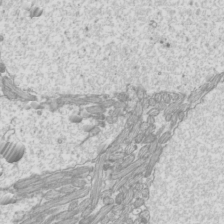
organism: Mouse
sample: Cilia; mouse epididymis